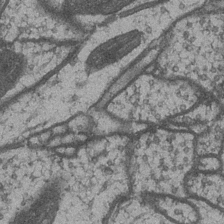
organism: Drosophila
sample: Optic medulla